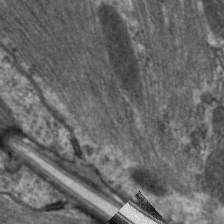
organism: C. elegans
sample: Pharynx